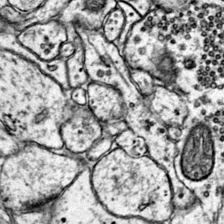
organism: Mouse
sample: Primary visual cortex